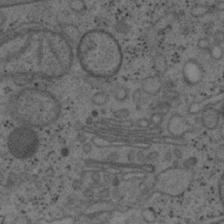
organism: Human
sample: HeLa cells